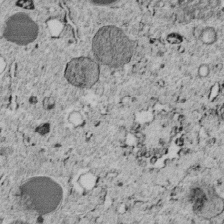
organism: C. elegans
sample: C. elegans embryo early stage